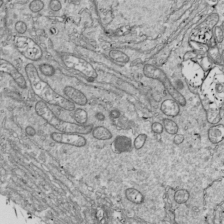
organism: Drosophila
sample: Cell division; meiosis; drosophila spermatocytes